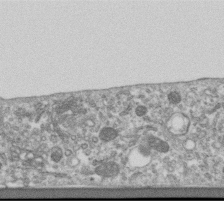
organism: Human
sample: Centriole in RPE cells